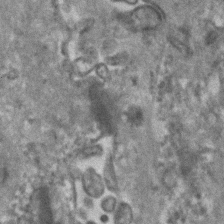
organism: Human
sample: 1205lu cells